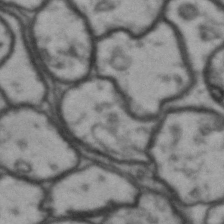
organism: Drosophila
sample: Brain